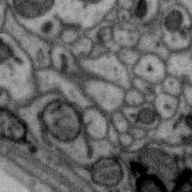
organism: Zebra finch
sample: Brain